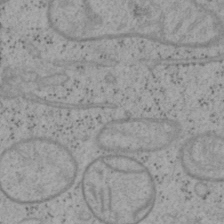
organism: Human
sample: HeLa cells